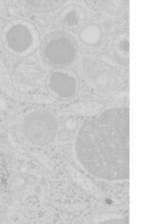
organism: Mouse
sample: Pancreas